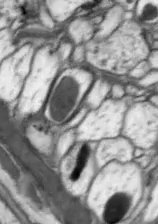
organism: Drosophila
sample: Optic lobe